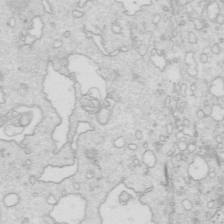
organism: Mouse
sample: Multiciliated cells